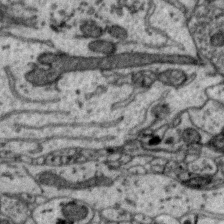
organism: Zebra finch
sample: Brain